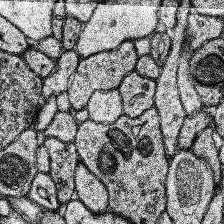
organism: Human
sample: Temporal Lobe